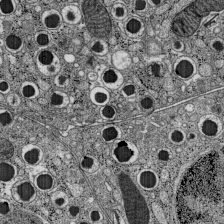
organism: C57BL Mouse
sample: Pancreatic islet